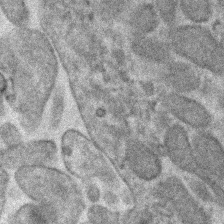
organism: Human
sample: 1205lu cells